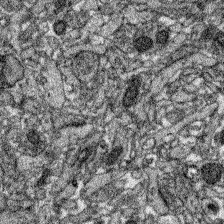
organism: Zebrafish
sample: Larval olfactory bulb